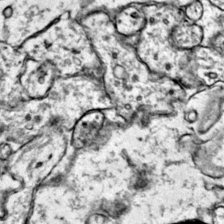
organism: Mouse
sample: Primary visual cortex